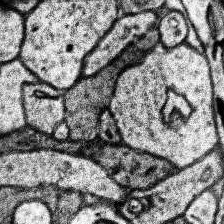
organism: Human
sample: Temporal Lobe